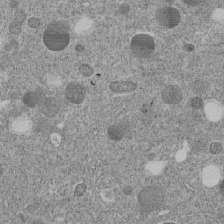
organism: C. elegans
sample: C. elegans embryo early stage